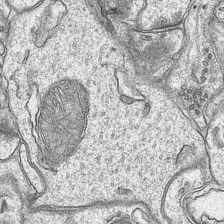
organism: Mouse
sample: CA1 Hippocampus